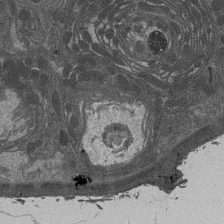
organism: Drosophila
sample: Antenna